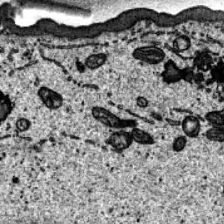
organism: Human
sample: HeLa cells